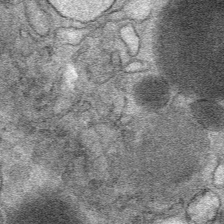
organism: Mouse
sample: Mouse Salivary gland